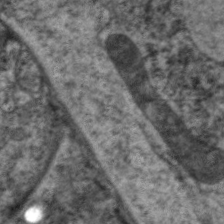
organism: C. elegans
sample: Pharynx